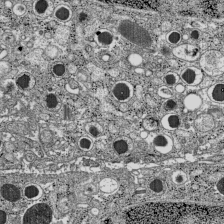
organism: C57BL Mouse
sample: Pancreatic islet